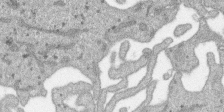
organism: Human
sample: Lung epithelial cells infected with SARS-CoV-2